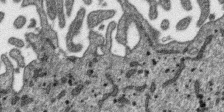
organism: Human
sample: Lung epithelial cells infected with SARS-CoV-2